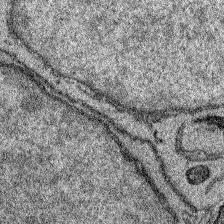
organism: Zebrafish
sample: Larval olfactory bulb